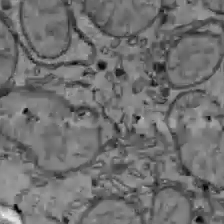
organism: C57BL Mouse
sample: Liver